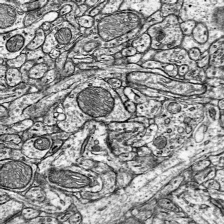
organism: Mouse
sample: Visual Cortex